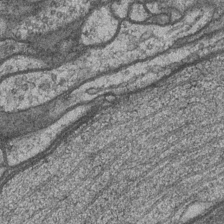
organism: Drosophila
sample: Optic medulla